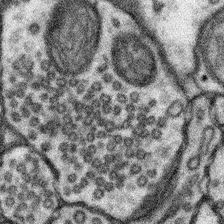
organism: Mouse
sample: Somatosensory cortex neuropil